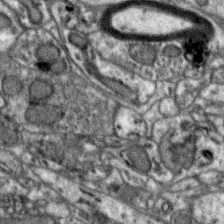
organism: Zebra finch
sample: Brain